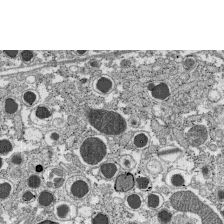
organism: C57BL Mouse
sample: Pancreatic islet